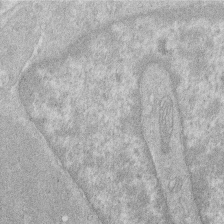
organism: Human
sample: Macrophage cells